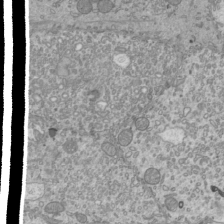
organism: Mouse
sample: Cilia; mouse epididymis